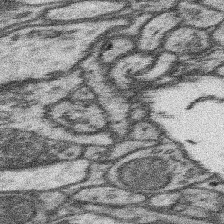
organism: Mouse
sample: Somatosensory cortex neuropil